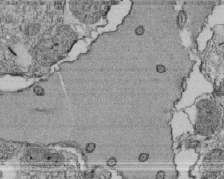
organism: Tetrahymena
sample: Cilia in tetrahymena